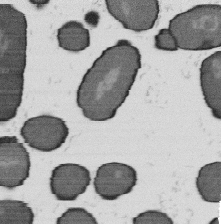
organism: B. subtilis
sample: Bacterial spore